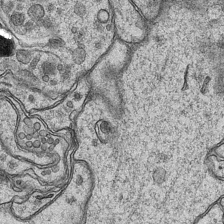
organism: Mouse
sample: CA1 Hippocampus